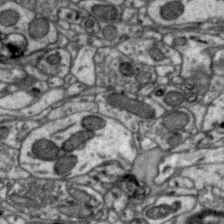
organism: Zebra finch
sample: Brain